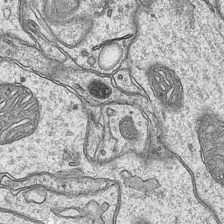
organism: Mouse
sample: CA1 Hippocampus